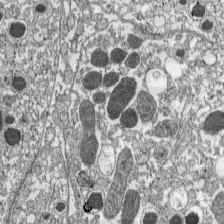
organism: C57BL Mouse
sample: Pancreatic islet